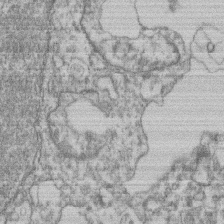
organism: Mouse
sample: T cell stromal cell synapse